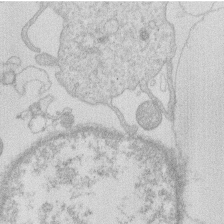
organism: Human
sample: Macrophage cells